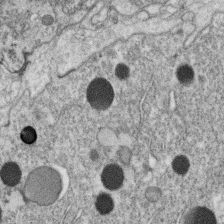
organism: C. elegans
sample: C. elegans oocyte; sperm cells